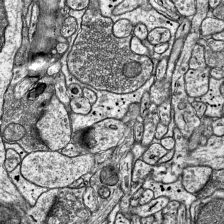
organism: Mouse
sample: Visual Cortex